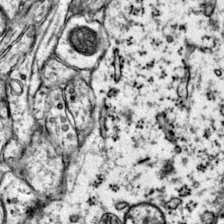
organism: Mouse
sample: Primary visual cortex